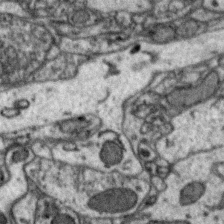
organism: Zebra finch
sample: Brain